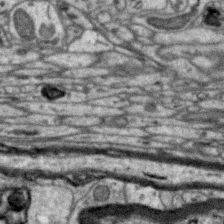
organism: Zebra finch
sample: Brain